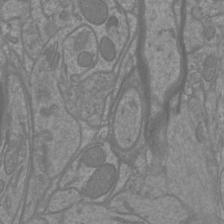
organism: Mouse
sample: Cortical neurons